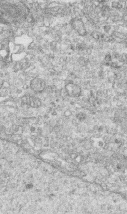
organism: Human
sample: HeLa cell HIV synapse